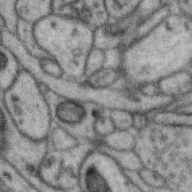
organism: Zebra finch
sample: Brain